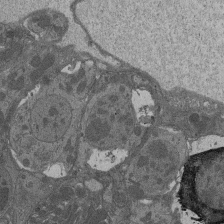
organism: Drosophila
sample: Antenna